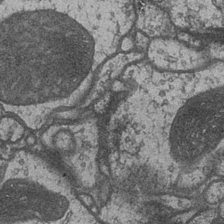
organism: Drosophila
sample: Optic medulla